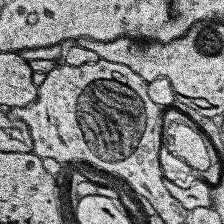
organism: Human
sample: Temporal Lobe